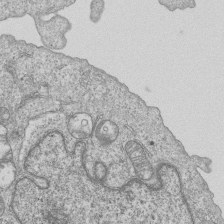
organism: Human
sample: MDA-MB-231 cells